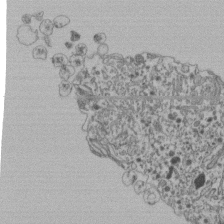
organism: Human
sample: Retinal organoid Rod and Cone cells